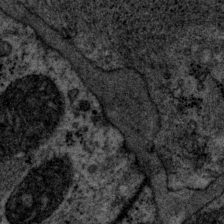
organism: P. pacificus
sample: Pharynx